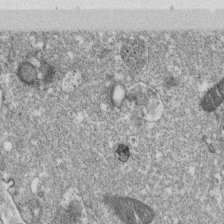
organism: African green monkey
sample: Vero E6 cells infected with SARS-CoV-2